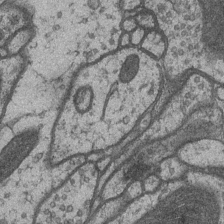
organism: Drosophila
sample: Optic medulla